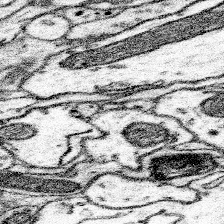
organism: Mouse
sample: Somatosensory cortex neuropil